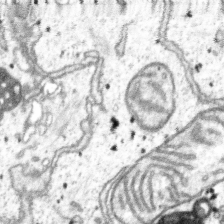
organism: Human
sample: HeLa cells